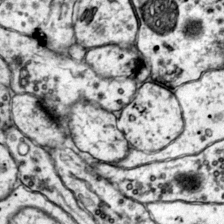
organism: Mouse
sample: Primary visual cortex